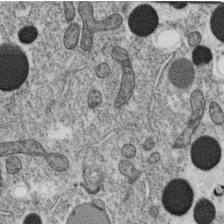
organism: C. elegans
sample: C. elegans oocyte; sperm cells